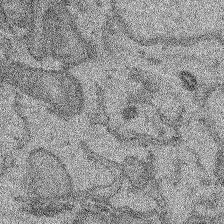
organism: Human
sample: HeLa cells